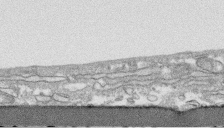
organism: Human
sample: CRL-1474